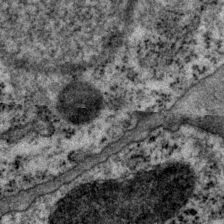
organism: P. pacificus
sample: Pharynx